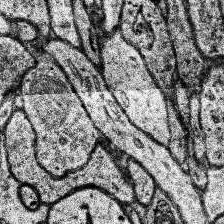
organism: Human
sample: Temporal Lobe